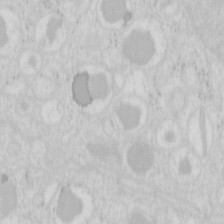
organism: Mouse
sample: Pancreas